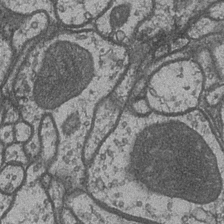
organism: Drosophila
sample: Optic medulla